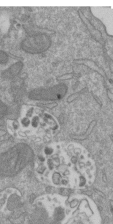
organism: Mouse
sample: ED-1 cell nuclei; centrioles